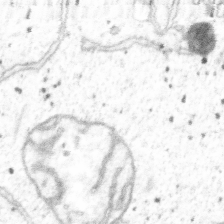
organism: Human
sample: HeLa cells